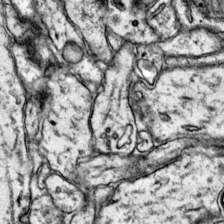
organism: Mouse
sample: Primary visual cortex